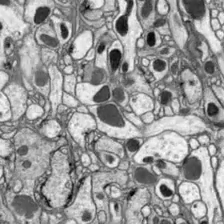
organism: Drosophila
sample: Optic lobe